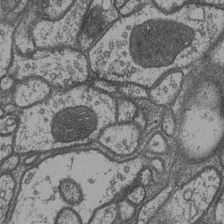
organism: Drosophila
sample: Optic medulla